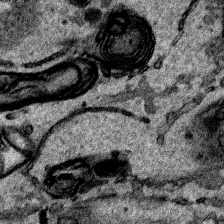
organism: Human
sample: Mitochondria in HCT116 cells